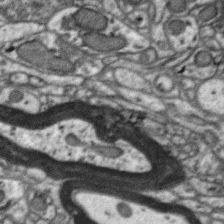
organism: Zebra finch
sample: Brain